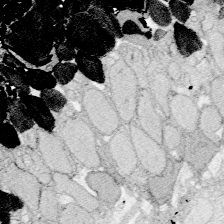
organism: Zebrafish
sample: Whole-Brain